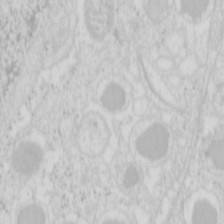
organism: Mouse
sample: Pancreas